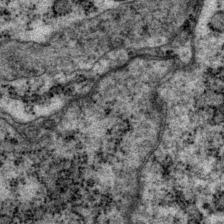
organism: P. pacificus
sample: Pharynx